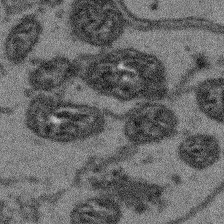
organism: Arabidopsis thaliana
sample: Root tip